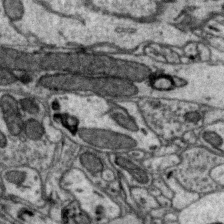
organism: Zebra finch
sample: Brain